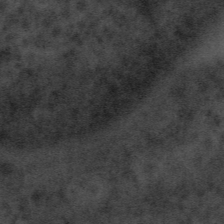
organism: Tuwongella immobilis